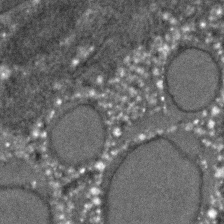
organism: C. elegans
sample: C. elegans embryo